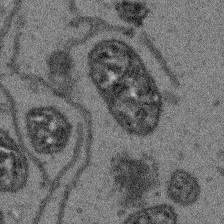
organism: Arabidopsis thaliana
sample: Root tip